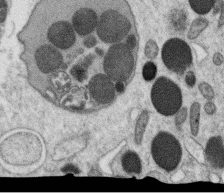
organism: C. elegans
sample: C. elegans oocyte; sperm cells